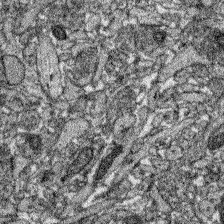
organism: Zebrafish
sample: Larval olfactory bulb